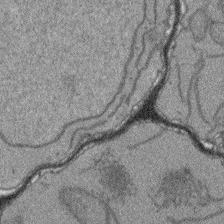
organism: Arabidopsis thaliana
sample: Root tip